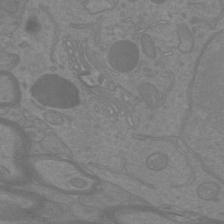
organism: Mouse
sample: Cortical neurons